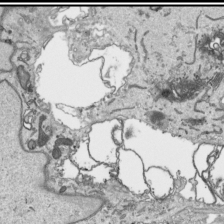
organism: Human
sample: Mitochondria in HCT116 cells